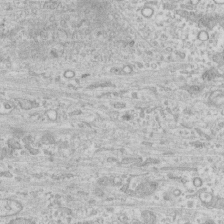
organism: Human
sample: CRL-1474